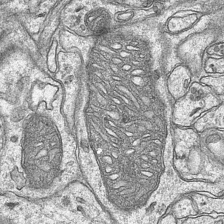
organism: Mouse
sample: CA1 Hippocampus